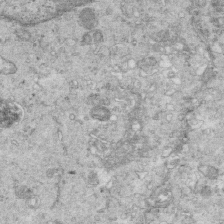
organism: Mouse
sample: Multiciliated cells